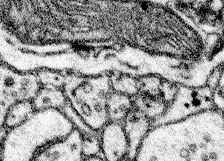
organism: Mouse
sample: Somatosensory cortex neuropil